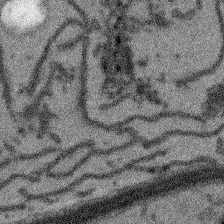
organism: Arabidopsis thaliana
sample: Root tip